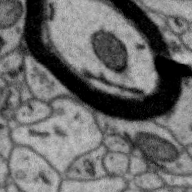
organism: Zebra finch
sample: Brain